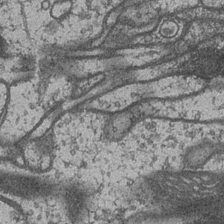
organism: Drosophila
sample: Optic medulla